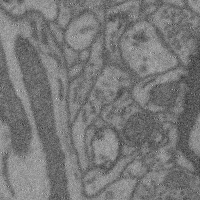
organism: Mouse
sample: Cerebral cortex